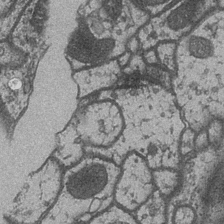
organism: Drosophila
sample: Optic medulla